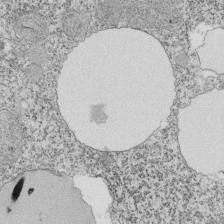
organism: Tetrahymena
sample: Cilia in tetrahymena